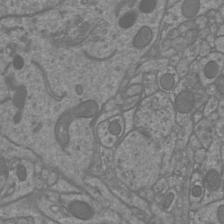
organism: Mouse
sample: Cortical neurons